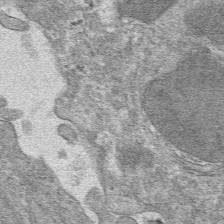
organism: Mouse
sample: Mouse hepatocytes